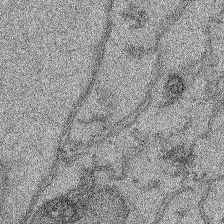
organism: Human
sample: HeLa cells